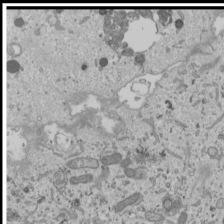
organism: Human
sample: Mitochondria in U2OS cells